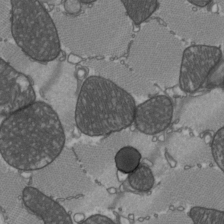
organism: C57BL Mouse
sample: Heart